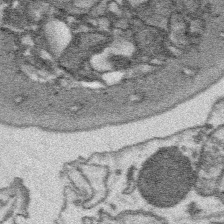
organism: Platynereis dumerilii